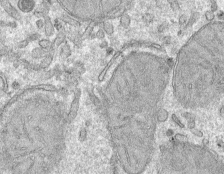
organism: Mouse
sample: Mouse hepatocytes